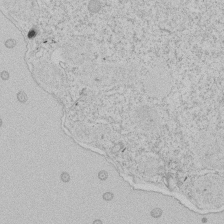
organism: Tetrahymena